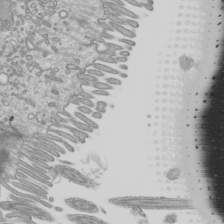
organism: Mouse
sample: Cilia; mouse epididymis